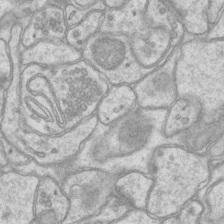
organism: Mouse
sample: CA1 Hippocampus